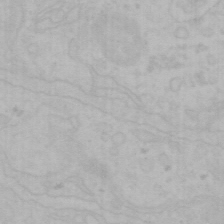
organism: Mouse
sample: Choroid plexus